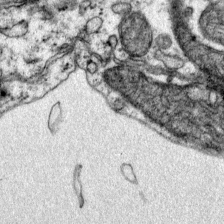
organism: Mouse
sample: Primary visual cortex